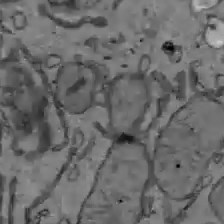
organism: C57BL Mouse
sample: Liver